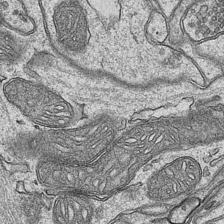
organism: Mouse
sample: CA1 Hippocampus